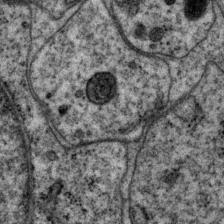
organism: P. pacificus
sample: Pharynx